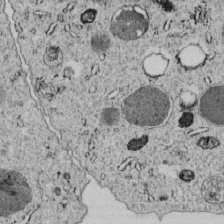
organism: C. elegans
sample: C. elegans embryo early stage